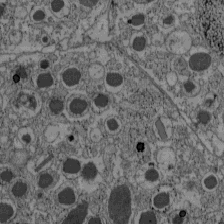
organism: C57BL Mouse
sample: Pancreatic islet